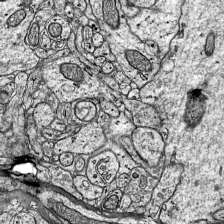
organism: Mouse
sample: Visual Cortex